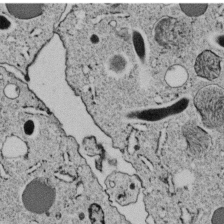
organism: C. elegans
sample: C. elegans embryo early stage